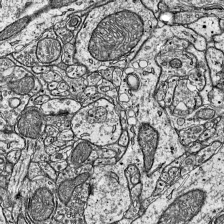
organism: Mouse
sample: Visual Cortex